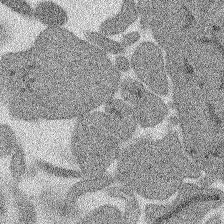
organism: Human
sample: HeLa cells